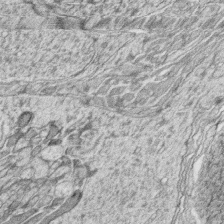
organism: Zebrafish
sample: synaptic ribbons in rod cells and cone cells